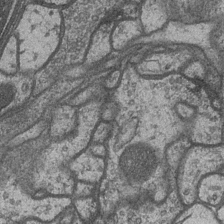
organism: Drosophila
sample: Optic medulla